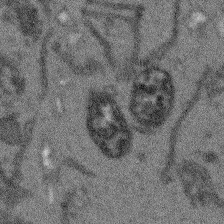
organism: Arabidopsis thaliana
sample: Root tip